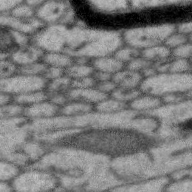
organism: Zebra finch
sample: Brain